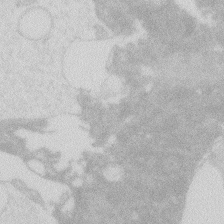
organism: Zebrafish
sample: Macrophage